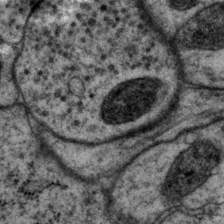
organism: P. pacificus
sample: Pharynx